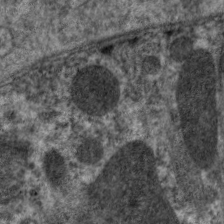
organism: C. elegans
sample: Pharynx